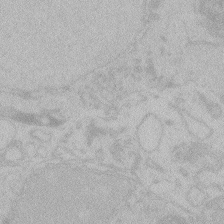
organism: Zebrafish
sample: Macrophage infected with Toxoplasma gondii